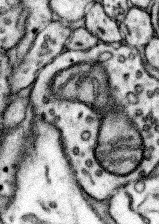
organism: Mouse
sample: Somatosensory cortex neuropil